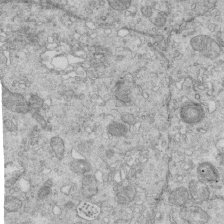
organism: Mouse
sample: Multiciliated cells